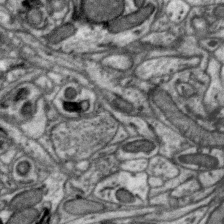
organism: Zebra finch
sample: Brain